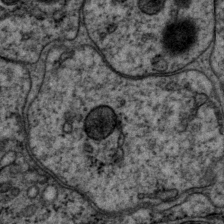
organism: P. pacificus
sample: Pharynx